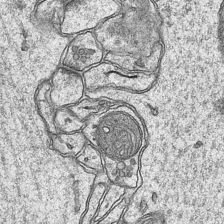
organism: Mouse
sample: CA1 Hippocampus